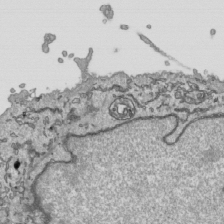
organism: Human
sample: Mitochondria in HCT116 cells